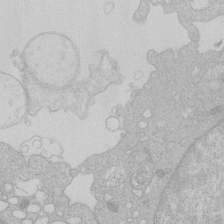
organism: Human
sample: Macrophage cells